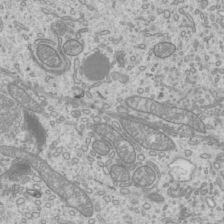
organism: Mouse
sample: Cilia; mouse epididymis